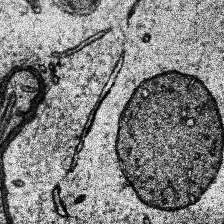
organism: Human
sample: Temporal Lobe